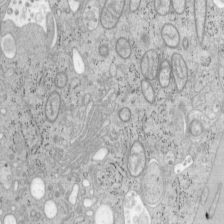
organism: Mouse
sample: OT-I killer T cells with ID8 ovarian cancer cells